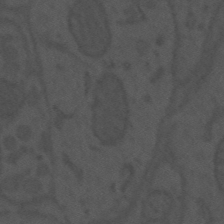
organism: Mouse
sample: Suprachiasmatic nucleus